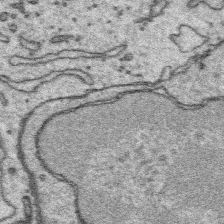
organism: Platynereis dumerilii